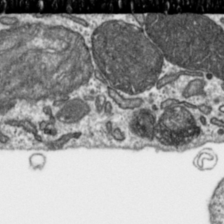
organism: Toxoplasma gondii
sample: Parasites in a vacuole inside a host cell